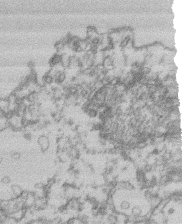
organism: Mouse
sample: T cell stromal cell synapse